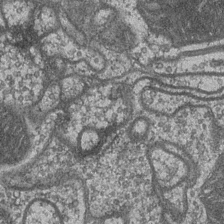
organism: Drosophila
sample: Optic medulla